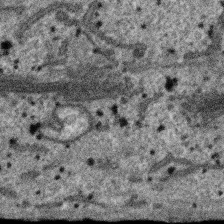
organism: Human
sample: Lung epithelial cells infected with SARS-CoV-2